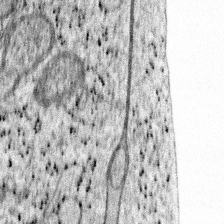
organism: Human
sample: HeLa cells